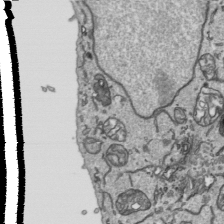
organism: Human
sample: Mitochondria in HCT116 cells